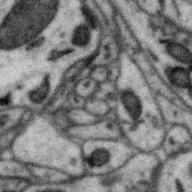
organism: Zebra finch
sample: Brain